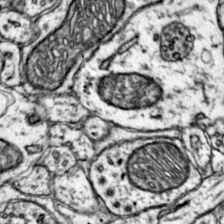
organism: Mouse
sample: Primary visual cortex